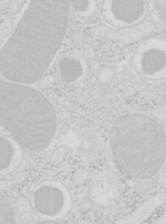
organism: Mouse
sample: Pancreas